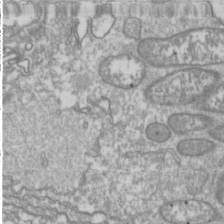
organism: Drosophila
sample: Cell division; meiosis; drosophila spermatocytes